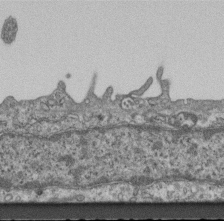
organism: Mouse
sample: Centriole in ependymal cells